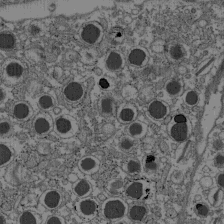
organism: C57BL Mouse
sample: Pancreatic islet